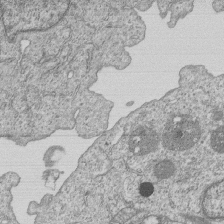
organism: Human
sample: MDA-MB-231 cells